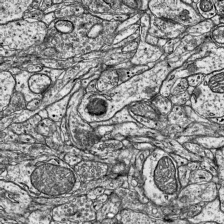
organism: Mouse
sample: Visual Cortex